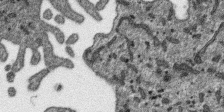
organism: Human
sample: Lung epithelial cells infected with SARS-CoV-2